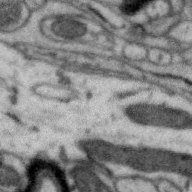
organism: Zebra finch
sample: Brain